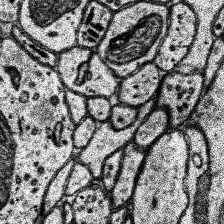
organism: Human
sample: Temporal Lobe